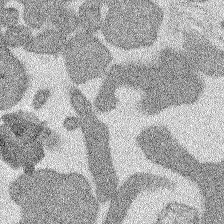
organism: Human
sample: HeLa cells